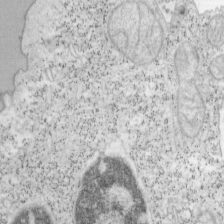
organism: Mouse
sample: OT-I killer T cells with ID8 ovarian cancer cells